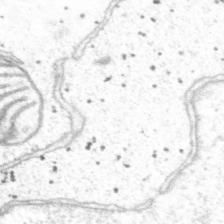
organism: Human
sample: HeLa cells